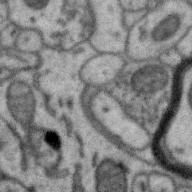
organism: Zebra finch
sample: Brain